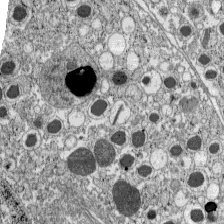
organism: C57BL Mouse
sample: Pancreatic islet